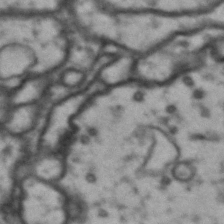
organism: Drosophila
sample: Brain